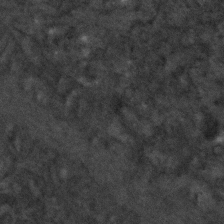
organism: C. elegans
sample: C. elegans embryo